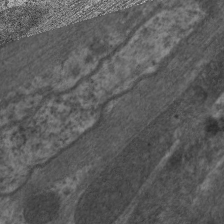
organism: C. elegans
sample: Pharynx